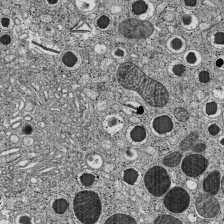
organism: C57BL Mouse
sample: Pancreatic islet